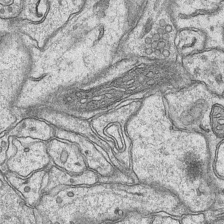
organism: Mouse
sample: CA1 Hippocampus